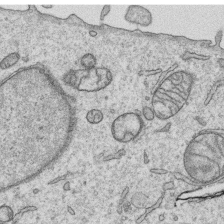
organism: Human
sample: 1205lu cells